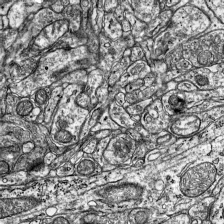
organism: Mouse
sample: Visual Cortex